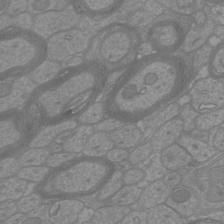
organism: Mouse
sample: Cortical neurons